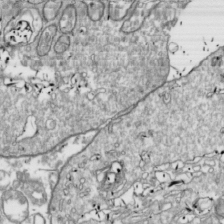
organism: Drosophila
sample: Cell division; meiosis; drosophila spermatocytes